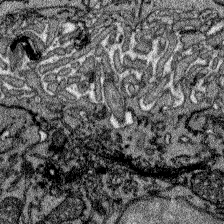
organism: Zebrafish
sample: Larval olfactory bulb